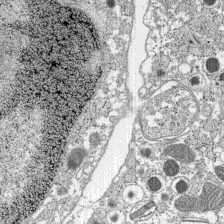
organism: C57BL Mouse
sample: Pancreatic islet